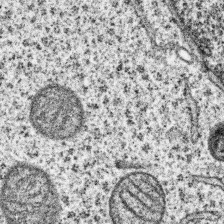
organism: Human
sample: HeLa cells